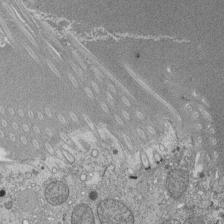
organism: Tetrahymena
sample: Cilia in tetrahymena